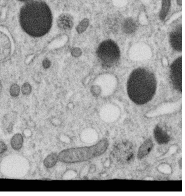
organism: C. elegans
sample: C. elegans oocyte; sperm cells